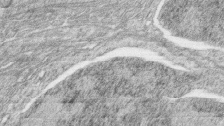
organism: Zebrafish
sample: synaptic ribbons in rod cells and cone cells